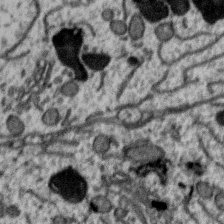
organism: Zebra finch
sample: Brain